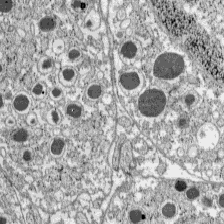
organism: C57BL Mouse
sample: Pancreatic islet